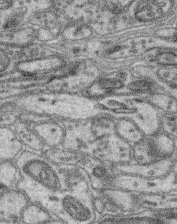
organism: Mouse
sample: Retina